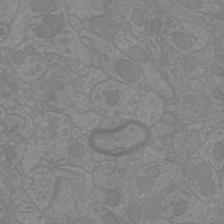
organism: Mouse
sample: Cortical neurons